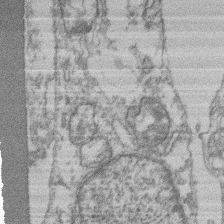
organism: Mouse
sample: T cell stromal cell synapse